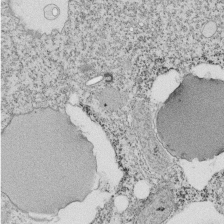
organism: Tetrahymena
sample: Cilia in tetrahymena